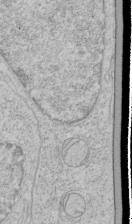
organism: Human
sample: Mitochondria in HCT116 cells